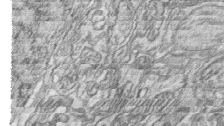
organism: Zebrafish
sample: synaptic ribbons in rod cells and cone cells